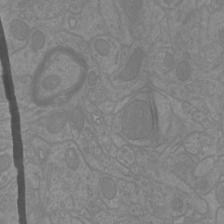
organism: Mouse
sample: Cortical neurons